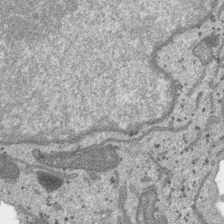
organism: Human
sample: Lung epithelial cells infected with SARS-CoV-2